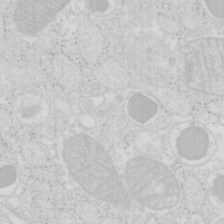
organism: Mouse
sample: Pancreas